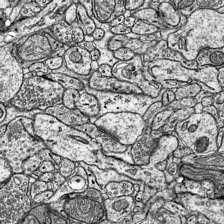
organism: Mouse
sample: Visual Cortex